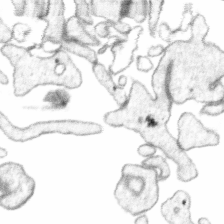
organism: Human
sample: HeLa cells